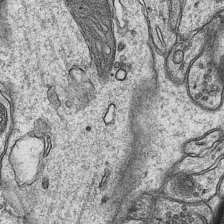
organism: Mouse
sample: CA1 Hippocampus